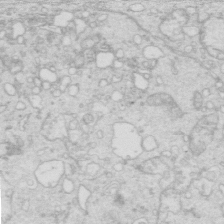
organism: Mouse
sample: Multiciliated cells